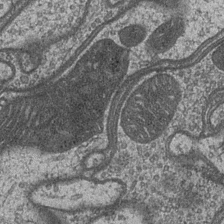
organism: Drosophila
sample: Optic medulla